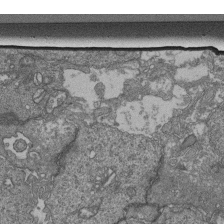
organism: Human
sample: Retinal organoid Rod and Cone cells